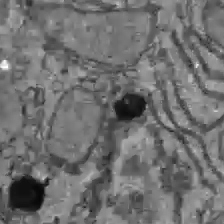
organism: C57BL Mouse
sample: Liver